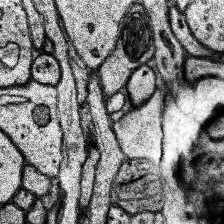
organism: Human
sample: Temporal Lobe